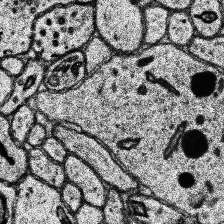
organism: Human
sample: Temporal Lobe